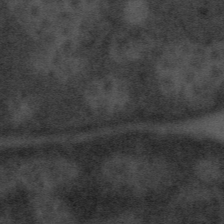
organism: Tuwongella immobilis